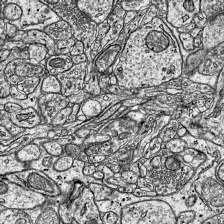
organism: Mouse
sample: Visual Cortex